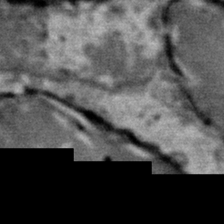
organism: Mouse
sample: Mouse Salivary gland